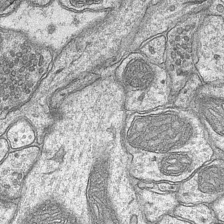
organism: Mouse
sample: CA1 Hippocampus